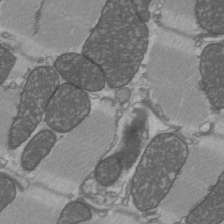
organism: C57BL Mouse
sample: Heart